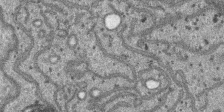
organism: Human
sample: Lung epithelial cells infected with SARS-CoV-2